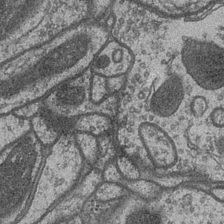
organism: Drosophila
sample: Optic medulla